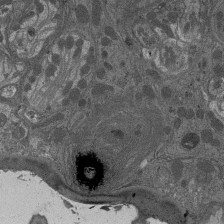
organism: Drosophila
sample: Antenna